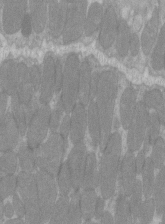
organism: C57BL Mouse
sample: Tibialis anterior muscle cell